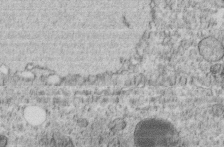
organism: C. elegans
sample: C. elegans embryo early stage